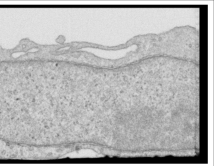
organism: Human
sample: Centriole in RPE cells